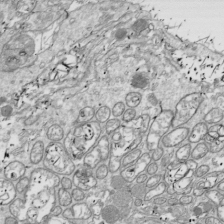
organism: Drosophila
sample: Cell division; meiosis; drosophila spermatocytes